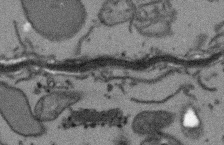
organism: Arabidopsis thaliana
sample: Root tip